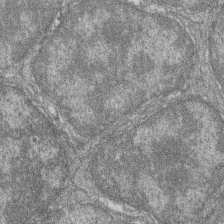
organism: Zebrafish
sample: Cilia; retinal pigment epithelium